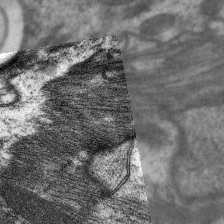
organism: C. elegans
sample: Pharynx